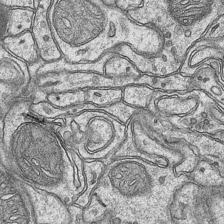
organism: Mouse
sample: CA1 Hippocampus